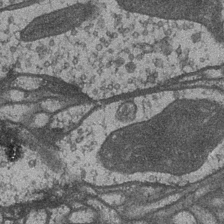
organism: Drosophila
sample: Optic medulla